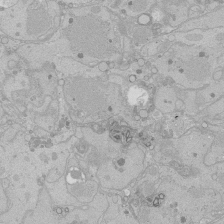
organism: Human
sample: Caco-2 cells